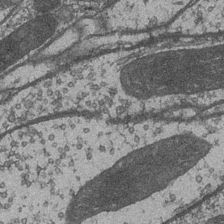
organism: Drosophila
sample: Optic medulla